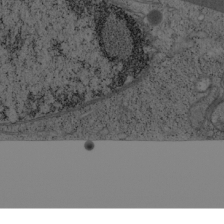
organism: African green monkey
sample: COS-7 cells